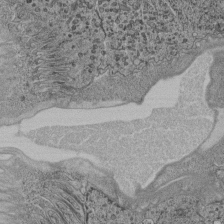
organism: C. elegans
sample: C. elegans pharynx